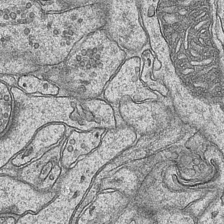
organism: Mouse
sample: CA1 Hippocampus